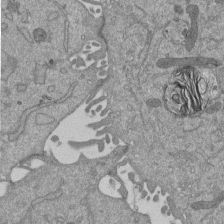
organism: Mouse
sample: ED-1 cell nuclei; centrioles